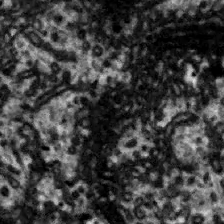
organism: Human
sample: HeLa cells